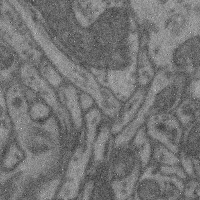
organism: Mouse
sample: Cerebral cortex